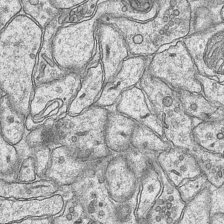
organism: Mouse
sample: CA1 Hippocampus